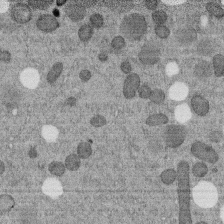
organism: C. elegans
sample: C. elegans embryo early stage